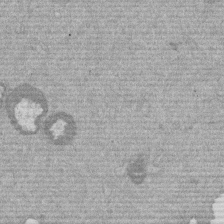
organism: Mouse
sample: Dividing mouse embryo 1 cell stage